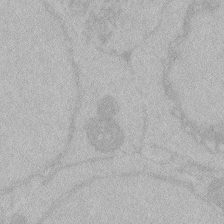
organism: Zebrafish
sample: Macrophage infected with Toxoplasma gondii